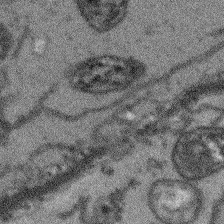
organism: Arabidopsis thaliana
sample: Root tip